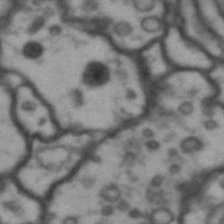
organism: Drosophila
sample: Brain